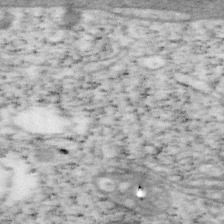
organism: Mouse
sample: OT-I killer T cells with ID8 ovarian cancer cells